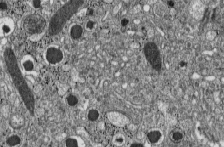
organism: C57BL Mouse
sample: Pancreatic islet